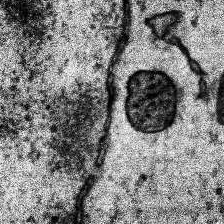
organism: Human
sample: Temporal Lobe